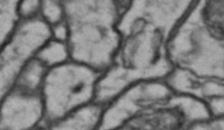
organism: Drosophila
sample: Brain